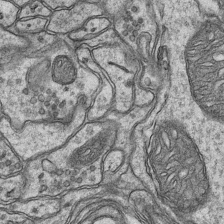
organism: Mouse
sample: CA1 Hippocampus